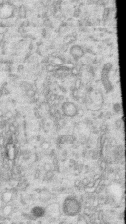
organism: Human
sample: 1205lu cells